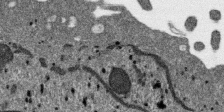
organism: Human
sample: Lung epithelial cells, uninfected (mock) control